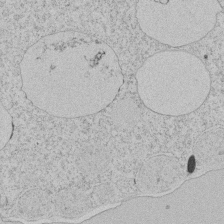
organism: Tetrahymena